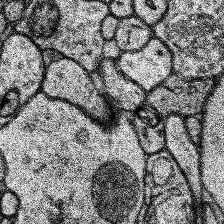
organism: Human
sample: Temporal Lobe